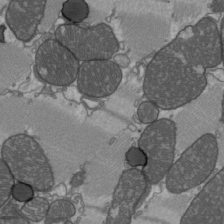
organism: C57BL Mouse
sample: Heart